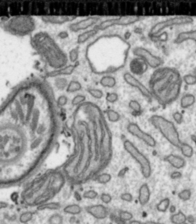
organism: Toxoplasma gondii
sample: Parasites in a vacuole inside a host cell